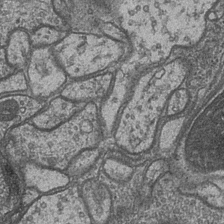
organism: Drosophila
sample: Optic medulla